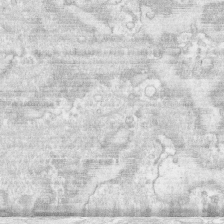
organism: Human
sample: CRL-1474